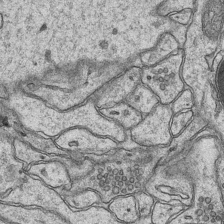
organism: Mouse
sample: CA1 Hippocampus